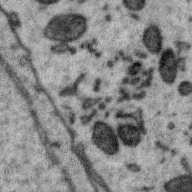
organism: Zebra finch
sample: Brain